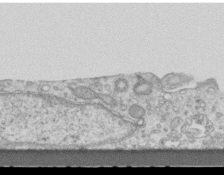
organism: Mouse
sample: Centriole in ependymal cells